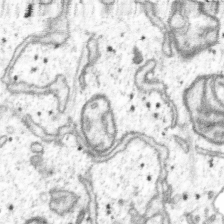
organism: Human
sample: HeLa cells